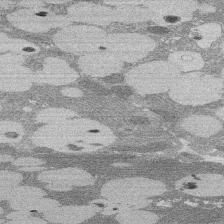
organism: Rat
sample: Salivary granule